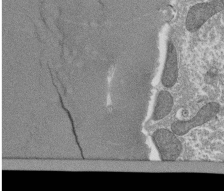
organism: Tetrahymena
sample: Cilia in tetrahymena